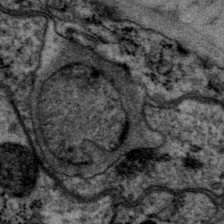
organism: P. pacificus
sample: Pharynx